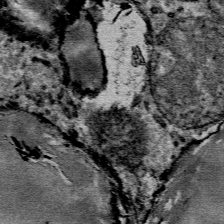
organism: Mouse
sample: Mouse Salivary gland